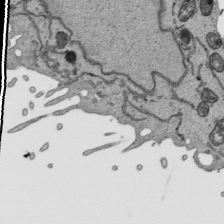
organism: Human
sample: Mitochondria in HCT116 cells